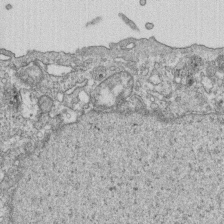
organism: Human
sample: HeLa cell HIV synapse